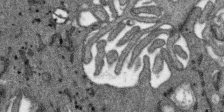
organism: Human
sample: Lung epithelial cells, uninfected (mock) control